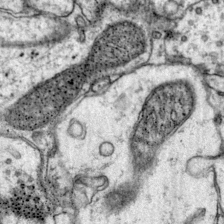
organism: Mouse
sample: Primary visual cortex